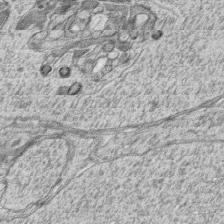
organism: Zebrafish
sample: synaptic ribbons in rod cells and cone cells